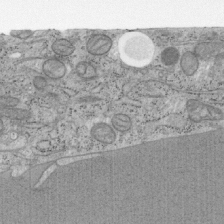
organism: Human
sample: HeLa cells